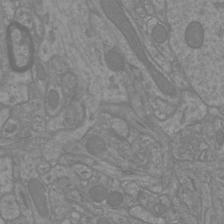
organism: Mouse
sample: Cortical neurons